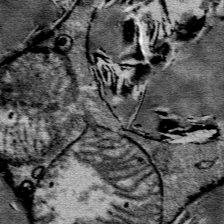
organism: Mouse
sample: Mouse Salivary gland